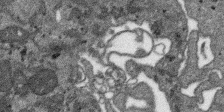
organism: Human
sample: Lung epithelial cells infected with SARS-CoV-2